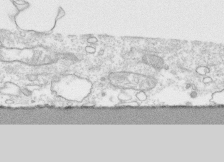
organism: Human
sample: CRL-1474